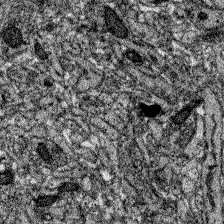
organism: Zebrafish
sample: Larval olfactory bulb